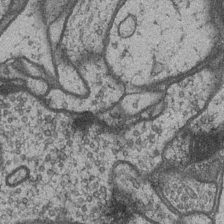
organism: Drosophila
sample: Optic medulla